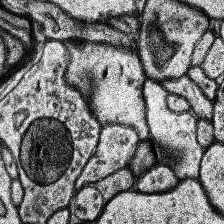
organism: Human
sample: Temporal Lobe